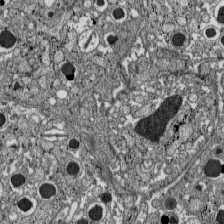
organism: C57BL Mouse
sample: Pancreatic islet